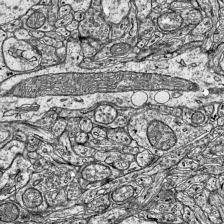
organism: Mouse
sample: Visual Cortex